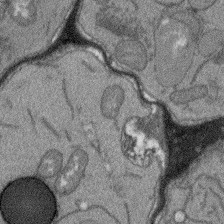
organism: Arabidopsis thaliana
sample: Root tip